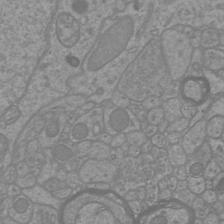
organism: Mouse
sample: Cortical neurons